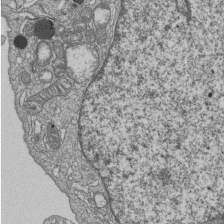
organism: Human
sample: MDA-MB-231 cells